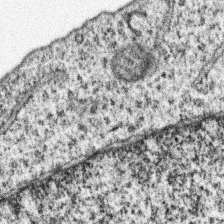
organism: Human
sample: HeLa cells